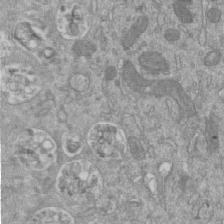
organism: Mouse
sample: ED-1 cell nuclei; centrioles